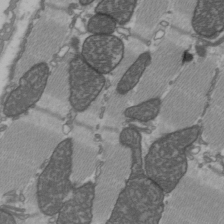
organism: C57BL Mouse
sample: Heart